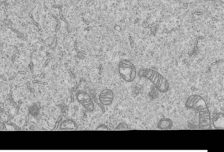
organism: Human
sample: MDA-MB-231 cells